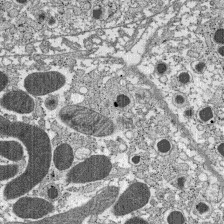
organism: C57BL Mouse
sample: Pancreatic islet